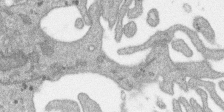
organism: Human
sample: Lung epithelial cells infected with SARS-CoV-2